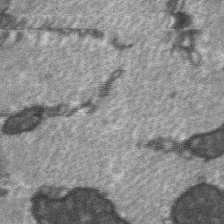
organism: C57BL Mouse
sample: Soleus